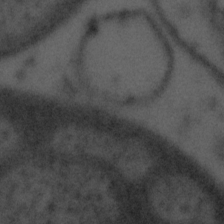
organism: Tuwongella immobilis